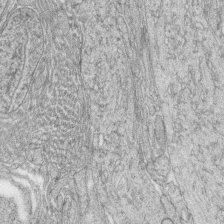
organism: Zebrafish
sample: synaptic ribbons in rod cells and cone cells